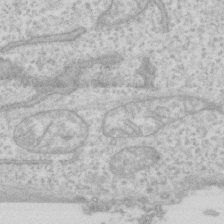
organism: Human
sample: Fibroblast cells